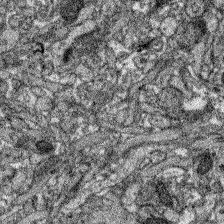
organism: Zebrafish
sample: Larval olfactory bulb